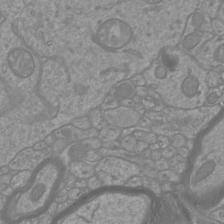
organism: Mouse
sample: Cortical neurons